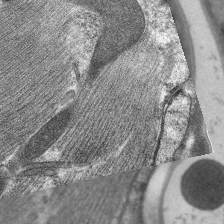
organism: C. elegans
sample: Pharynx